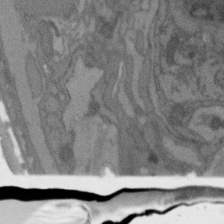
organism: C. elegans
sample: AFD neurons C. elegans